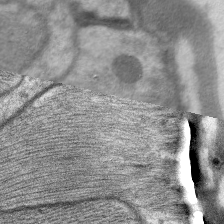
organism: C. elegans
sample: Pharynx